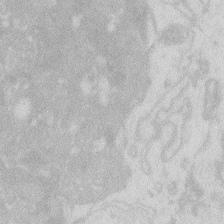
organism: Zebrafish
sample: Macrophage